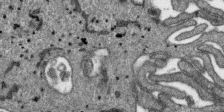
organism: Human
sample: Lung epithelial cells, uninfected (mock) control